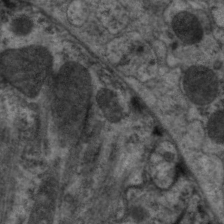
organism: C. elegans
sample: Pharynx